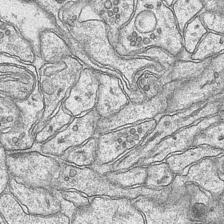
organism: Mouse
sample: CA1 Hippocampus